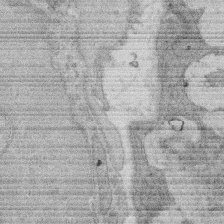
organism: Rat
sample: Salivary granule